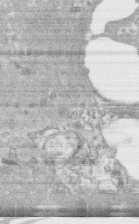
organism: Human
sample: CRL-1474